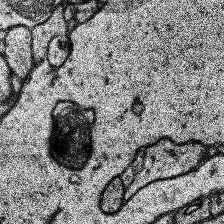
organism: Human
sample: Temporal Lobe